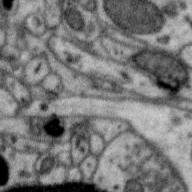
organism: Zebra finch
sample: Brain